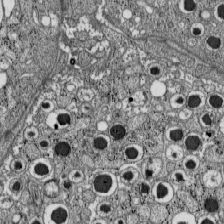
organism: C57BL Mouse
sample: Pancreatic islet